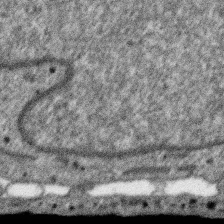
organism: Human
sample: Lung epithelial cells infected with SARS-CoV-2